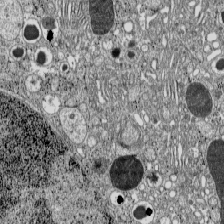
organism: C57BL Mouse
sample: Pancreatic islet